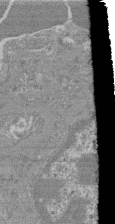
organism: Mouse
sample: Glomerulus